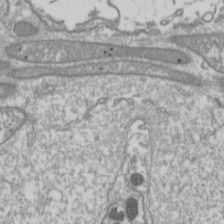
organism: Drosophila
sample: Cell division; meiosis; drosophila spermatocytes